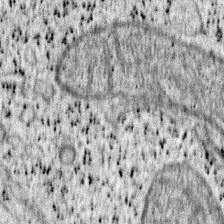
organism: Human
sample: HeLa cells